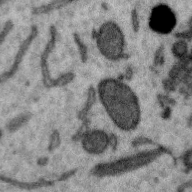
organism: Zebra finch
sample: Brain